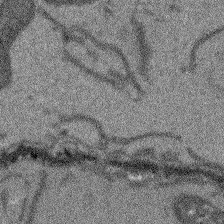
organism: Arabidopsis thaliana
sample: Root tip